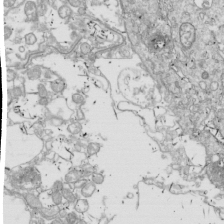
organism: Drosophila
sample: Cell division; meiosis; drosophila spermatocytes